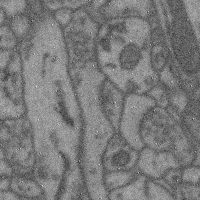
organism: Mouse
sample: Cerebral cortex